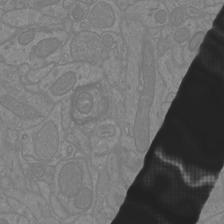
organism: Mouse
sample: Cortical neurons